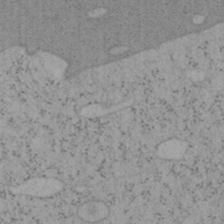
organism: Mouse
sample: OT-I killer T cells with ID8 ovarian cancer cells